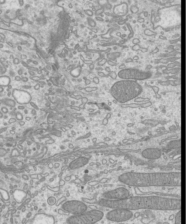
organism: Mouse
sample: Cilia; mouse epididymis